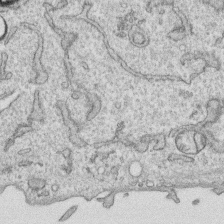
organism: Human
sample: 1205lu cells